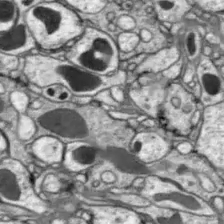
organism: Drosophila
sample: Optic lobe